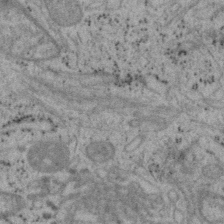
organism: Human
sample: HeLa cells